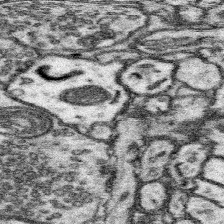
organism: Mouse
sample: Somatosensory cortex neuropil